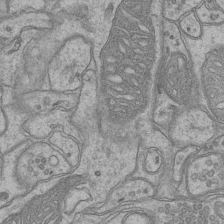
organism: Mouse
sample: CA1 Hippocampus